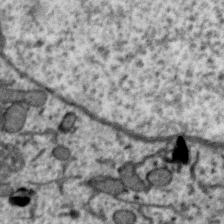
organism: Zebra finch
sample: Brain